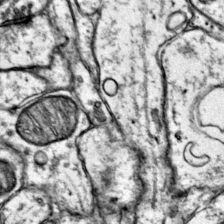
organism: Mouse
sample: Primary visual cortex